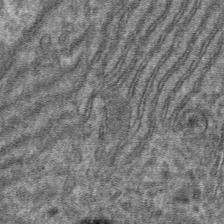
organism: Mouse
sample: Mouse hepatocytes